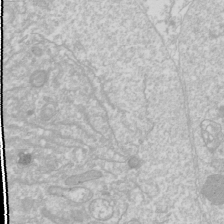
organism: Drosophila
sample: Cell division; meiosis; drosophila spermatocytes